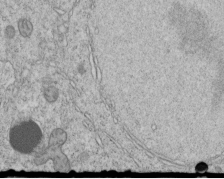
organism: C. elegans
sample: C. elegans embryo early stage